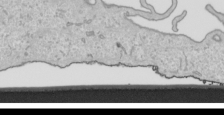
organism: Human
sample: Mitochondria in HCT116 cells